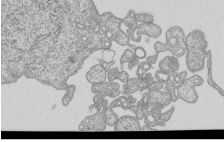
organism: Human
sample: MDA-MB-231 cells